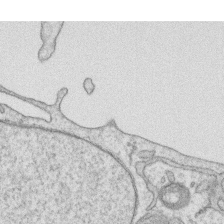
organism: Human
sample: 1205lu cells